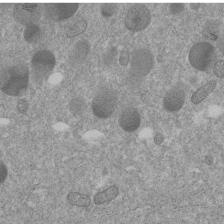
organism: C. elegans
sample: C. elegans embryo early stage